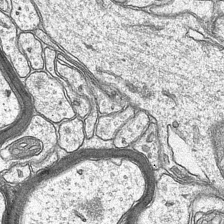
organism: Mouse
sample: CA1 Hippocampus